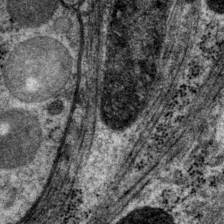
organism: P. pacificus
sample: Pharynx